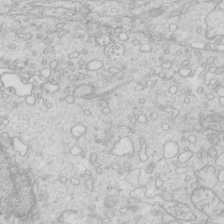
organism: Mouse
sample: Multiciliated cells